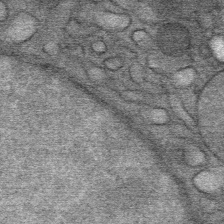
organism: Mouse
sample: Mouse Salivary gland